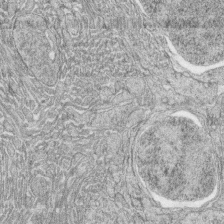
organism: Zebrafish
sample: synaptic ribbons in rod cells and cone cells